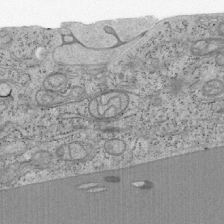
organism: Human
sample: HeLa cells